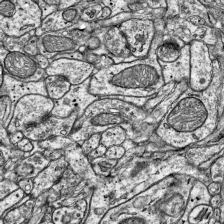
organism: Mouse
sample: Visual Cortex